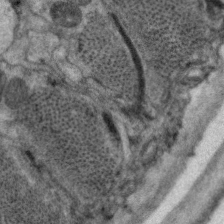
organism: C. elegans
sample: Pharynx